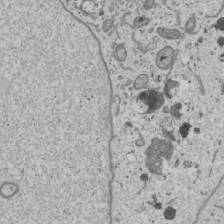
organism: Human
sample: Mitochondria in U2OS cells